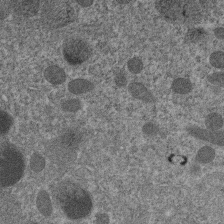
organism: C. elegans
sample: C. elegans embryo early stage